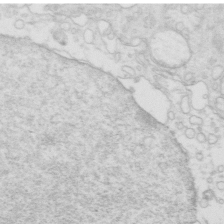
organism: Mouse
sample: Multiciliated cells